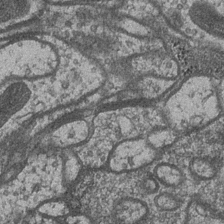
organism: Drosophila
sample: Optic medulla